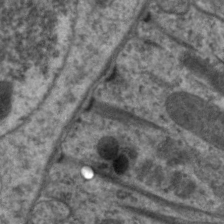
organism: C. elegans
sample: Pharynx